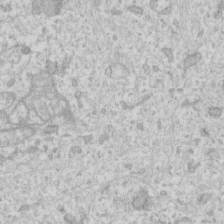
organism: Human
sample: Fibroblast cells